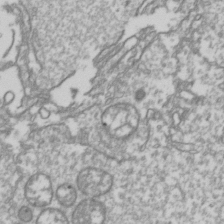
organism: Drosophila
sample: Cell division; meiosis; drosophila spermatocytes